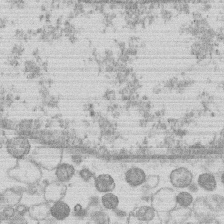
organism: Human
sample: Macrophage cells